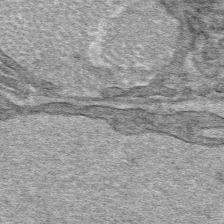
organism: Mouse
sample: Mouse hepatocytes